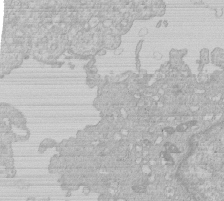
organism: Human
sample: Macrophage cells